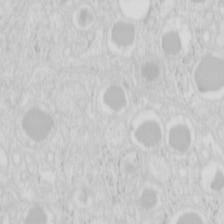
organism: Mouse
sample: Pancreas